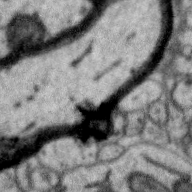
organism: Zebra finch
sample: Brain